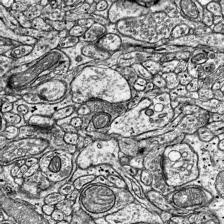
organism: Mouse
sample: Visual Cortex